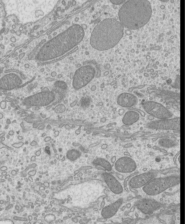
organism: Mouse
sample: Cilia; mouse epididymis